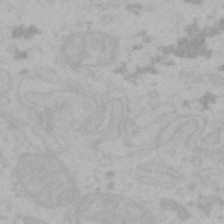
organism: Mouse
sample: Choroid plexus